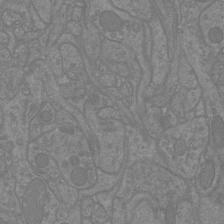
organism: Mouse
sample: Cortical neurons